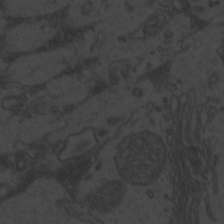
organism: Zebrafish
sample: Macrophage infected with Toxoplasma gondii